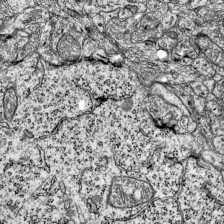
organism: Mouse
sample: Visual Cortex